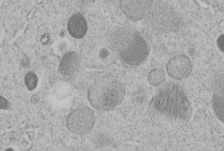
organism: C. elegans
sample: C. elegans embryo early stage